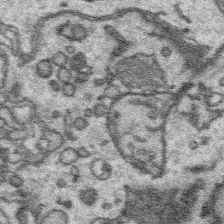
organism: Platynereis dumerilii